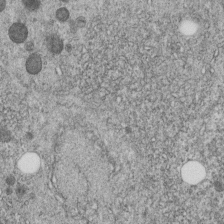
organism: C. elegans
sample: C. elegans embryo early stage